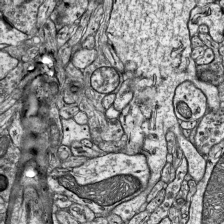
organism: Mouse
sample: Visual Cortex